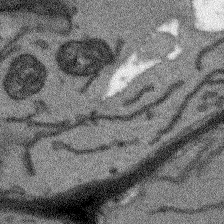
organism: Arabidopsis thaliana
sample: Root tip